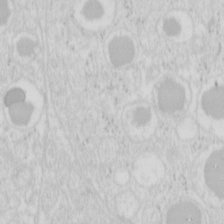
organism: Mouse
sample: Pancreas